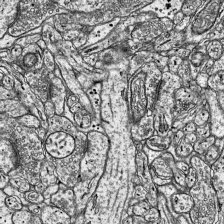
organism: Mouse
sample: Visual Cortex